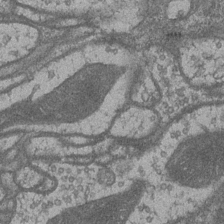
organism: Drosophila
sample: Optic medulla